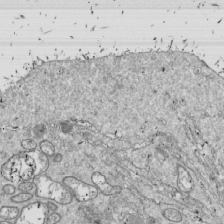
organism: Drosophila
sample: Cell division; meiosis; drosophila spermatocytes